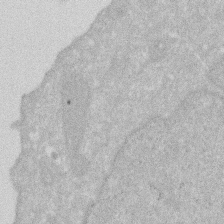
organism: Human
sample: HIV infected U937 cells